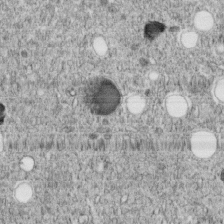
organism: C. elegans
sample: C. elegans embryo early stage